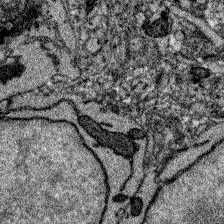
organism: Zebrafish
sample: Larval olfactory bulb